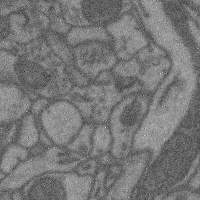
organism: Mouse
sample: Cerebral cortex